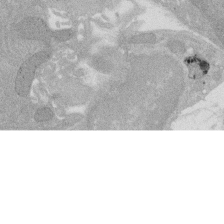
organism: Rat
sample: Salivary granule